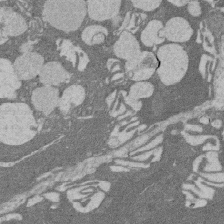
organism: Rat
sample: Salivary granule